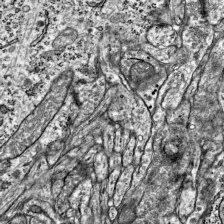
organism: Mouse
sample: Visual Cortex